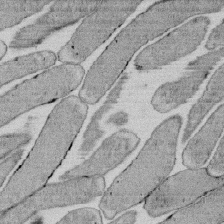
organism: E. coli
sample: Bacterial nucleoid